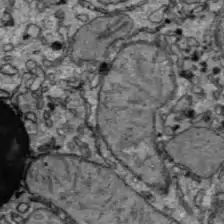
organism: C57BL Mouse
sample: Liver